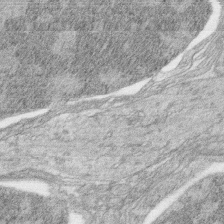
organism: Zebrafish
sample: synaptic ribbons in rod cells and cone cells